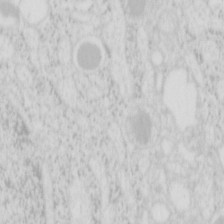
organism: Mouse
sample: Pancreas